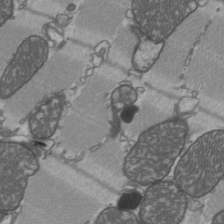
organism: C57BL Mouse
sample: Heart